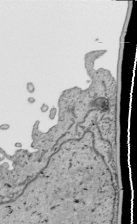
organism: Human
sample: Mitochondria in HCT116 cells